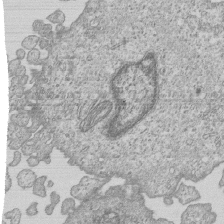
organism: Human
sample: MDA-MB-231 cells